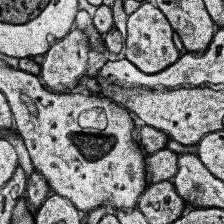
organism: Human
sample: Temporal Lobe